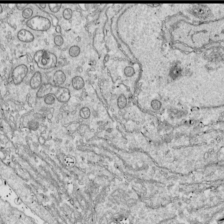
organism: Drosophila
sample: Cell division; meiosis; drosophila spermatocytes